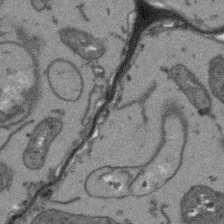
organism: Arabidopsis thaliana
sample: Root tip